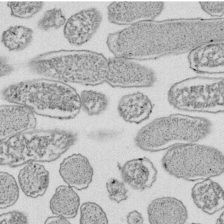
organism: E. coli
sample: Bacterial nucleoid